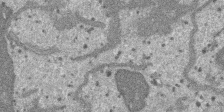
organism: Human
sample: Lung epithelial cells infected with SARS-CoV-2